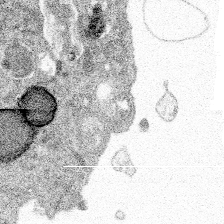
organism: Spongilla lacustris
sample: Multiple